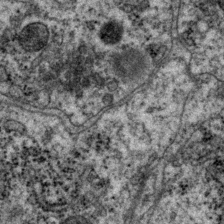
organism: P. pacificus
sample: Pharynx